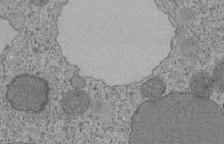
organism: Tetrahymena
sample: Cilia in tetrahymena